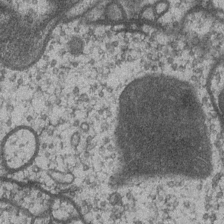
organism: Drosophila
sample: Optic medulla